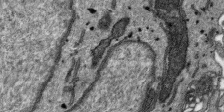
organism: Human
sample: Lung epithelial cells, uninfected (mock) control